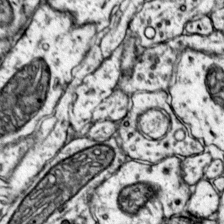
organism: Mouse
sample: Primary visual cortex